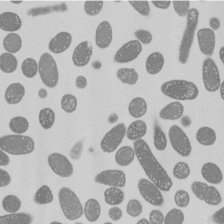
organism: E. coli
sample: Bacterial nucleoid